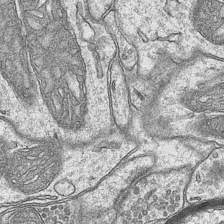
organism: Mouse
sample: CA1 Hippocampus